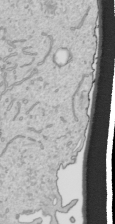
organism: Human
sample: Mitochondria in HCT116 cells